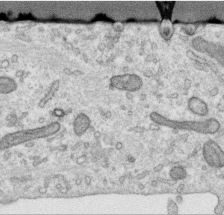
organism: Human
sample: Centriole in RPE cells